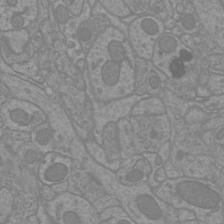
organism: Mouse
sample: Cortical neurons